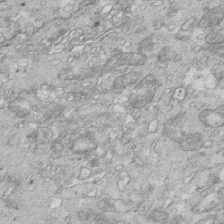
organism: Mouse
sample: Multiciliated cells